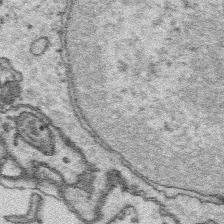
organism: Platynereis dumerilii